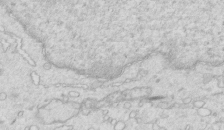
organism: Mouse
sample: Multiciliated cells